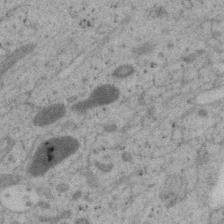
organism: Human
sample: HeLa cells